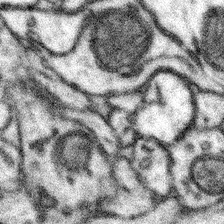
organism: Mouse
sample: Somatosensory cortex neuropil